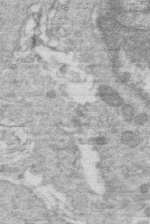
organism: Human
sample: Macrophage cells